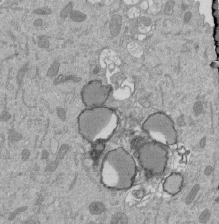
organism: Mouse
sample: ED-1 cell nuclei; centrioles